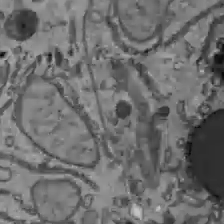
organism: C57BL Mouse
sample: Liver